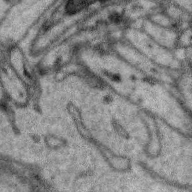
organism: Zebra finch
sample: Brain